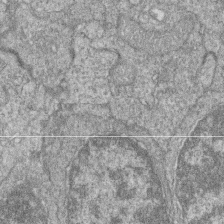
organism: Zebrafish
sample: Cilia; retinal pigment epithelium